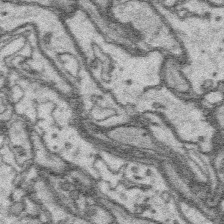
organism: Platynereis dumerilii